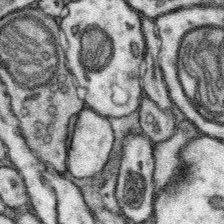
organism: Mouse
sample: Somatosensory cortex neuropil